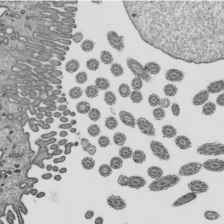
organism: Mouse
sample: Mouse epididymis efferent ductule cilia